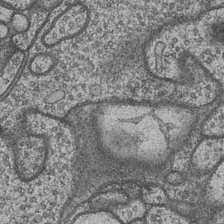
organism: Drosophila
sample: Optic medulla